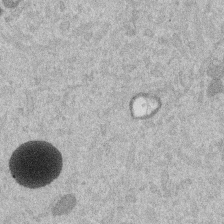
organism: Mouse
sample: Dividing mouse embryo 1 cell stage